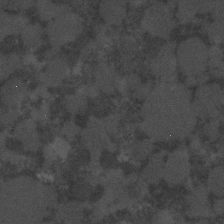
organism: C. elegans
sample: C. elegans embryo